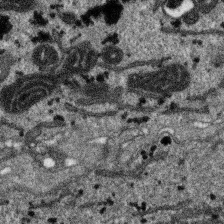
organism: Human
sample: Lung epithelial cells infected with SARS-CoV-2